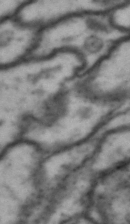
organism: Drosophila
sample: Brain